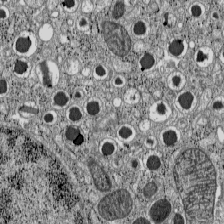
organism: C57BL Mouse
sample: Pancreatic islet